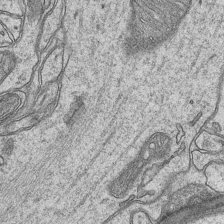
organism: Mouse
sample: CA1 Hippocampus